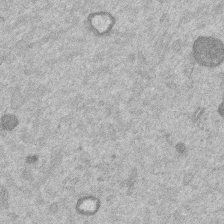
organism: Mouse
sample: Dividing mouse embryo 1 cell stage